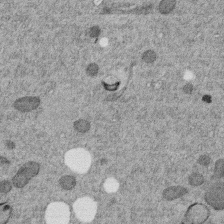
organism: C. elegans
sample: C. elegans embryo early stage